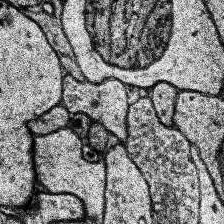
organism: Human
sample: Temporal Lobe